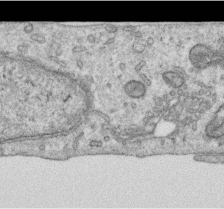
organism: Human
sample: Centriole in RPE cells